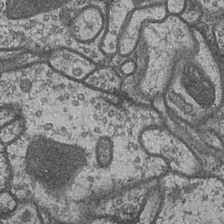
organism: Drosophila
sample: Optic medulla